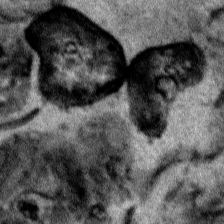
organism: Human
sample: Mitochondria in HCT116 cells